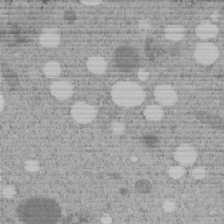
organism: C. elegans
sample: C. elegans embryo early stage